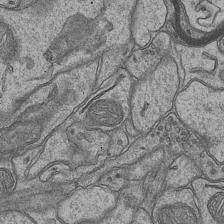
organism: Mouse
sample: CA1 Hippocampus